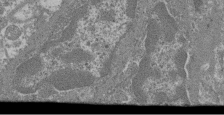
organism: Mouse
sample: Glomerulus